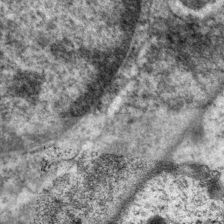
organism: P. pacificus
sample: Pharynx